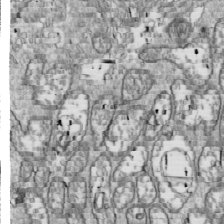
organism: Drosophila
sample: Cell division; meiosis; drosophila spermatocytes